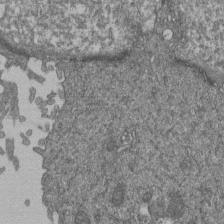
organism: Human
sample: Retinal organoid Rod and Cone cells